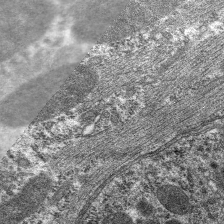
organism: C. elegans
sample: Pharynx